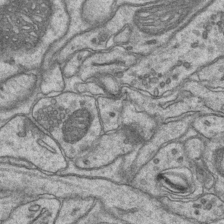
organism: Mouse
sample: CA1 Hippocampus